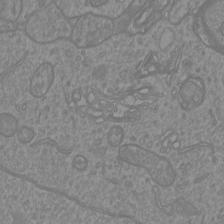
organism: Mouse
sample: Cortical neurons